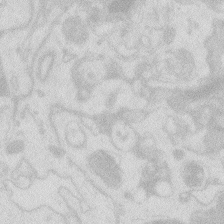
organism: Zebrafish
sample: Macrophage